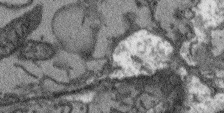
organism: Arabidopsis thaliana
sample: Root tip